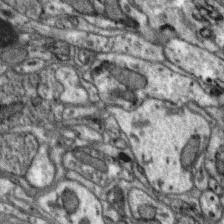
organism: Zebra finch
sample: Brain